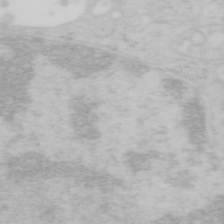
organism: Mouse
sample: OT-I killer T cells with ID8 ovarian cancer cells